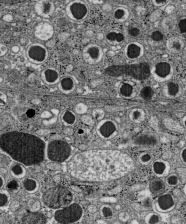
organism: C57BL Mouse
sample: Pancreatic islet